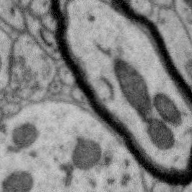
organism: Zebra finch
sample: Brain